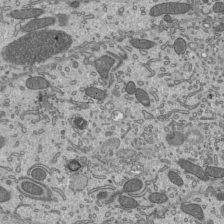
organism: Mouse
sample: Mouse epididymis efferent ductule cilia